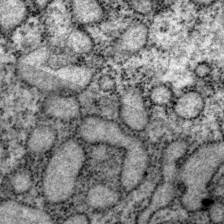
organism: P. pacificus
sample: Pharynx